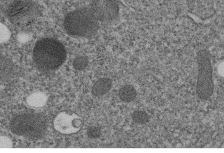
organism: C. elegans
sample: C. elegans embryo early stage